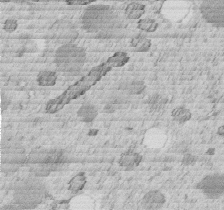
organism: C. elegans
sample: C. elegans embryo early stage